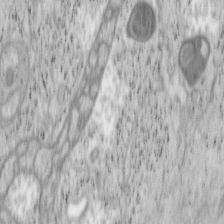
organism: Human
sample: HeLa cells